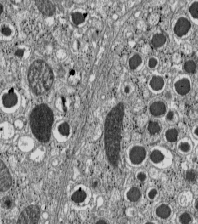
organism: C57BL Mouse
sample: Pancreatic islet